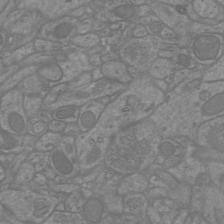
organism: Mouse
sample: Cortical neurons